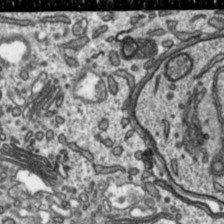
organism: Toxoplasma gondii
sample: Parasites in a vacuole inside a host cell